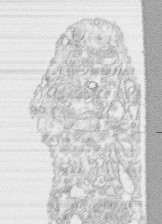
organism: Human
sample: CRL-1474